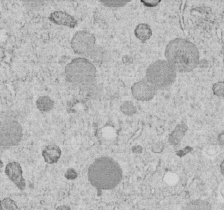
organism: C. elegans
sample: C. elegans embryo early stage